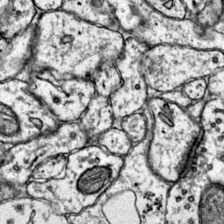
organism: Mouse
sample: Primary visual cortex